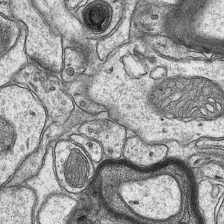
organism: Mouse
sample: CA1 Hippocampus